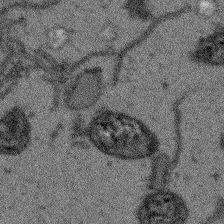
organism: Arabidopsis thaliana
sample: Root tip